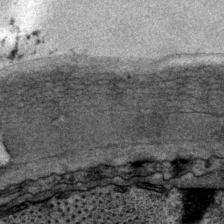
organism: P. pacificus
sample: Pharynx